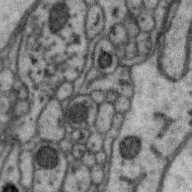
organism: Zebra finch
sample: Brain